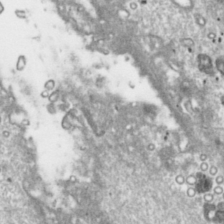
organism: Toxoplasma gondii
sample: Parasites in a vacuole inside a host cell